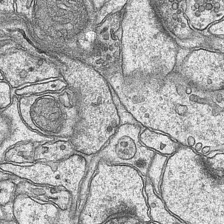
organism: Mouse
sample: CA1 Hippocampus